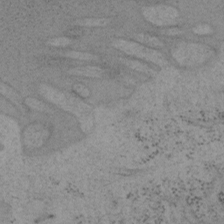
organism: Mouse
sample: OT-I killer T cells with ID8 ovarian cancer cells